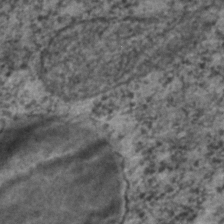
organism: C. elegans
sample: C. elegans embryo